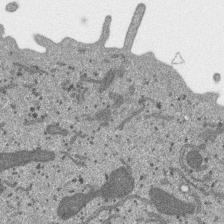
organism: Human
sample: Lung epithelial cells infected with SARS-CoV-2